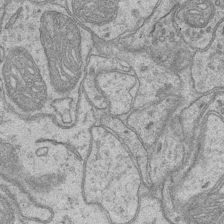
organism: Mouse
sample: CA1 Hippocampus